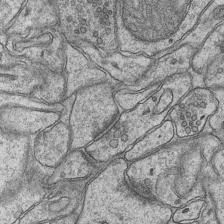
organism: Mouse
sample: CA1 Hippocampus